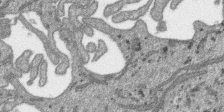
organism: Human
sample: Lung epithelial cells infected with SARS-CoV-2